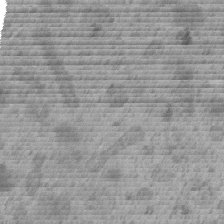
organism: C. elegans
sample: C. elegans embryo early stage